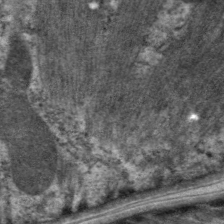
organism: C. elegans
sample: Pharynx